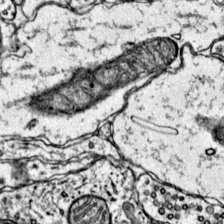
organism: Mouse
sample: Primary visual cortex